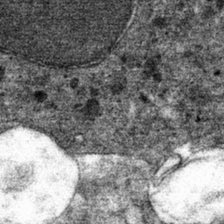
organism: Mouse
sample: Mouse hepatocytes